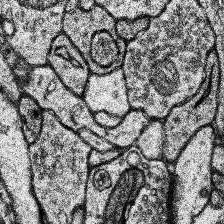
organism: Human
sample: Temporal Lobe